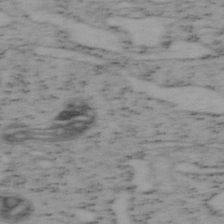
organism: Mouse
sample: OT-I killer T cells with ID8 ovarian cancer cells